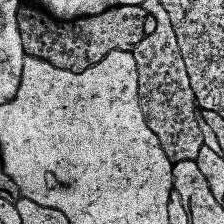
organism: Human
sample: Temporal Lobe